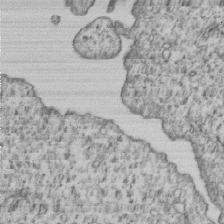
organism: Human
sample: MDA-MB-231 cells